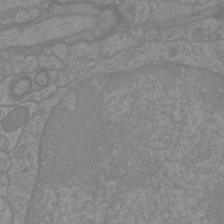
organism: Mouse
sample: Cortical neurons